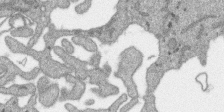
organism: Human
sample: Lung epithelial cells infected with SARS-CoV-2